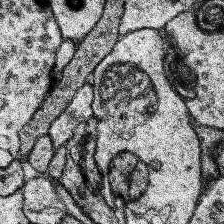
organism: Human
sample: Temporal Lobe